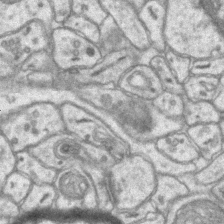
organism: Mouse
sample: CA1 Hippocampus